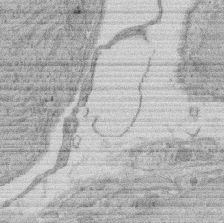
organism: Rat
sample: Salivary granule